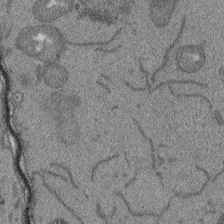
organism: Arabidopsis thaliana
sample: Root tip